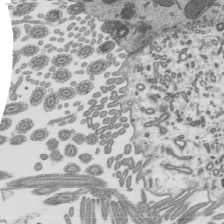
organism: Mouse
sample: Mouse epididymis efferent ductule cilia